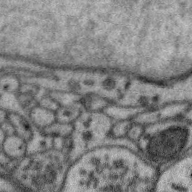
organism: Zebra finch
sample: Brain